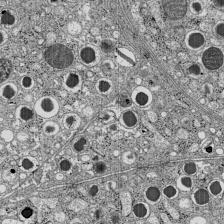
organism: C57BL Mouse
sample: Pancreatic islet